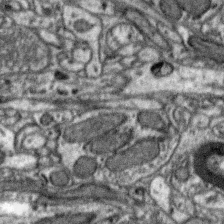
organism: Zebra finch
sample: Brain